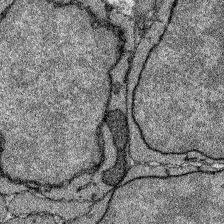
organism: Zebrafish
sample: Larval olfactory bulb